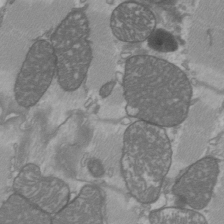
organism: C57BL Mouse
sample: Heart